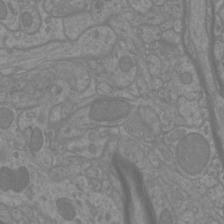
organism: Mouse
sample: Cortical neurons